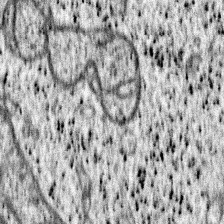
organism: Human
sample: HeLa cells